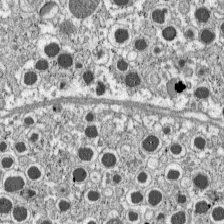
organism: C57BL Mouse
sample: Pancreatic islet